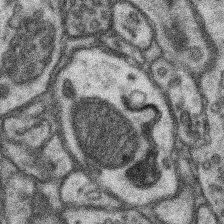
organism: Mouse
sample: Somatosensory cortex neuropil